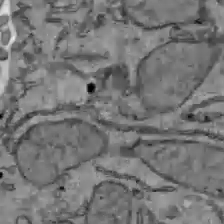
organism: C57BL Mouse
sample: Liver